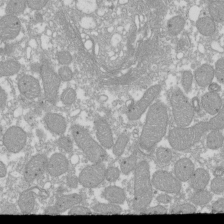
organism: Xenopus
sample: Cilia; centrioles in frog embryo cells